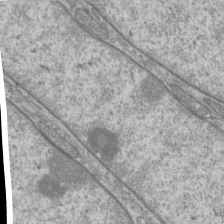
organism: Mouse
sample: Cilia; mouse epididymis